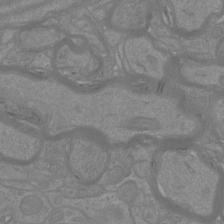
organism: Mouse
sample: Cortical neurons